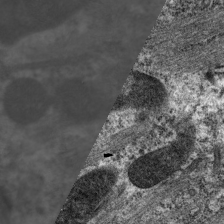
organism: C. elegans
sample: Pharynx